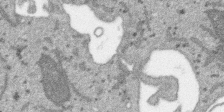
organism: Human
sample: Lung epithelial cells infected with SARS-CoV-2